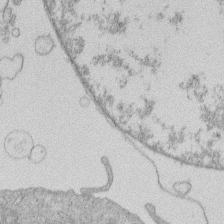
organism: Human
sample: Macrophage cells